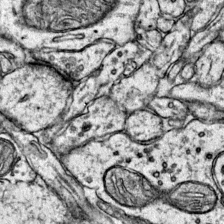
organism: Mouse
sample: Primary visual cortex